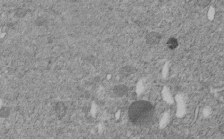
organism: C. elegans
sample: C. elegans embryo early stage